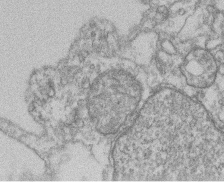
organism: Mouse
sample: T cell stromal cell synapse